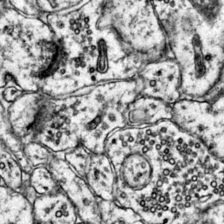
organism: Mouse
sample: Primary visual cortex